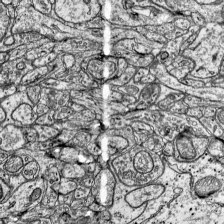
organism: Mouse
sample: Visual Cortex